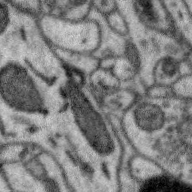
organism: Zebra finch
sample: Brain